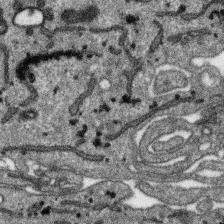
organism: Human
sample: Lung epithelial cells infected with SARS-CoV-2